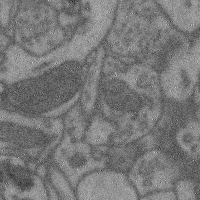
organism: Mouse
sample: Cerebral cortex